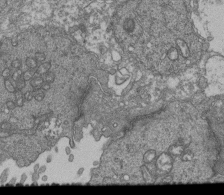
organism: Human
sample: Retinal organoid Rod and Cone cells